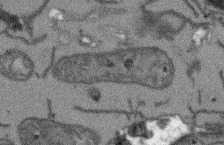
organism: Arabidopsis thaliana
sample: Root tip